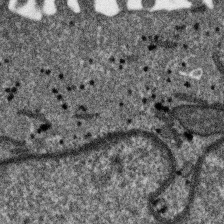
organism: Human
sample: Lung epithelial cells infected with SARS-CoV-2